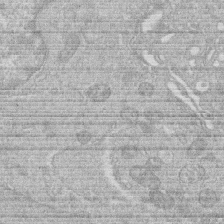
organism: Human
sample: Macrophage cells